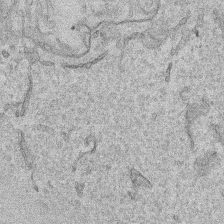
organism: Human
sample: Mitochondria in HCT116 cells